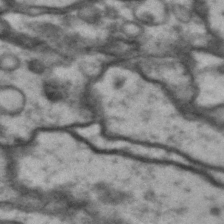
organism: Drosophila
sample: Brain